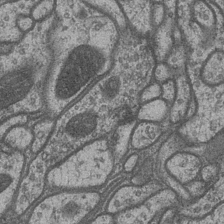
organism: Drosophila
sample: Optic medulla